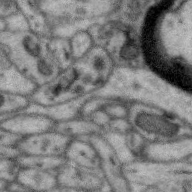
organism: Zebra finch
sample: Brain